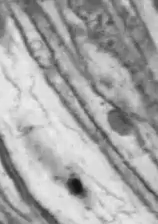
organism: Drosophila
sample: Optic lobe